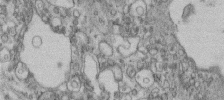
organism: Human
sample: Centriole in fibroblast cells